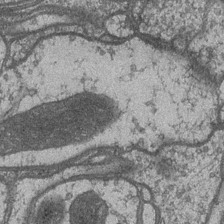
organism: Drosophila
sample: Optic medulla